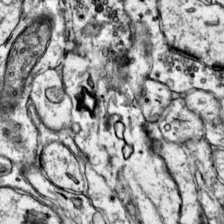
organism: Mouse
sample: Primary visual cortex